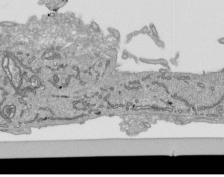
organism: Human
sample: Mitochondria in HCT116 cells